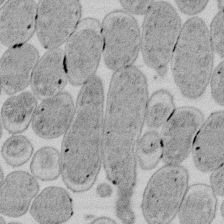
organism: E. coli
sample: Bacterial nucleoid